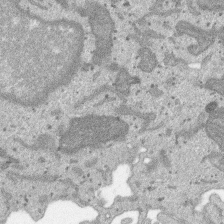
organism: Human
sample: Lung epithelial cells infected with SARS-CoV-2